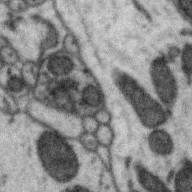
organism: Zebra finch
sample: Brain